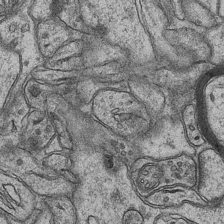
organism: Mouse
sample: CA1 Hippocampus